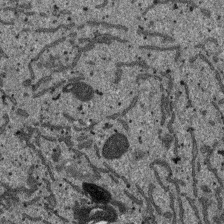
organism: Human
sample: Lung epithelial cells infected with SARS-CoV-2